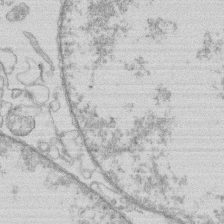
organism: Human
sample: Macrophage cells